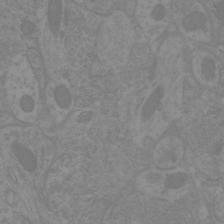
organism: Mouse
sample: Cortical neurons